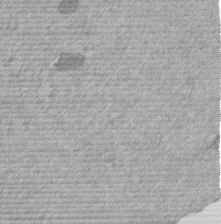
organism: Mouse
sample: Dividing mouse embryo 1 cell stage